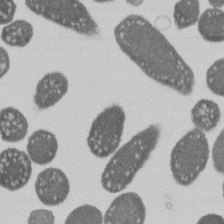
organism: E. coli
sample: Bacterial nucleoid